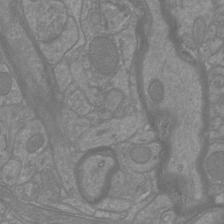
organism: Mouse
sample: Cortical neurons